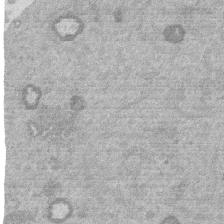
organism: Mouse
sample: Dividing mouse embryo 1 cell stage